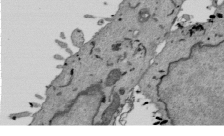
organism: Mouse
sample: ED-1 cell nuclei; centrioles